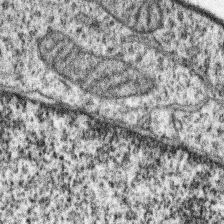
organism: Human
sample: HeLa cells